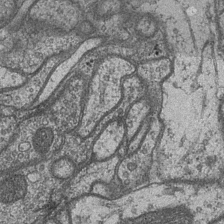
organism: Drosophila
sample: Optic medulla